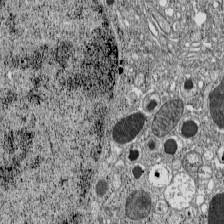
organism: C57BL Mouse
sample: Pancreatic islet